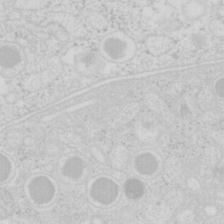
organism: Mouse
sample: Pancreas